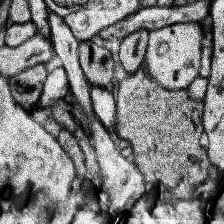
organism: Human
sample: Temporal Lobe